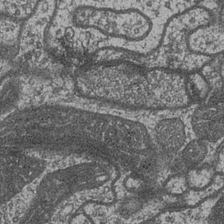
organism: Drosophila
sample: Optic medulla